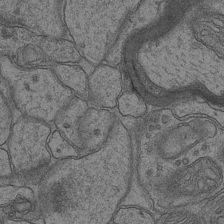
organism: Mouse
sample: CA1 Hippocampus